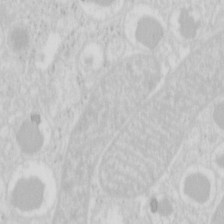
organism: Mouse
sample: Pancreas